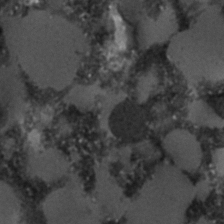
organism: C. elegans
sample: C. elegans embryo